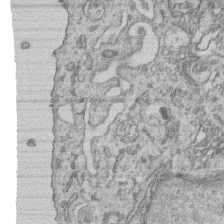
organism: Human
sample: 1205lu cells